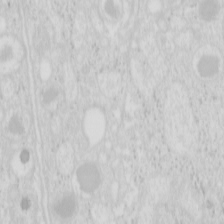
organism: Mouse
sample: Pancreas